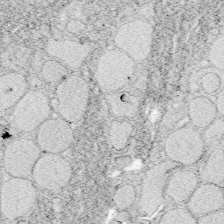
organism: Zebrafish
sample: Whole-Brain